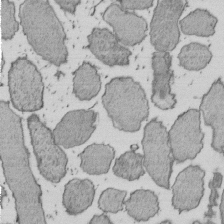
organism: E. coli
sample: Bacterial nucleoid